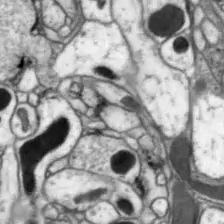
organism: Drosophila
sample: Optic lobe